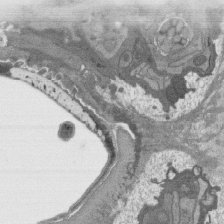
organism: C. elegans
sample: AFD neurons C. elegans